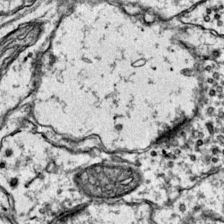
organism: Mouse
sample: Primary visual cortex